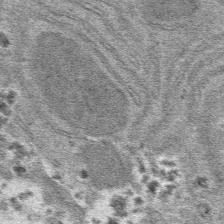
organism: Mouse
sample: Mouse hepatocytes